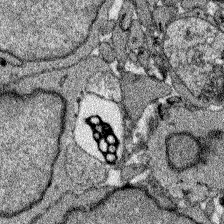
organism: Zebrafish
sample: Larval olfactory bulb